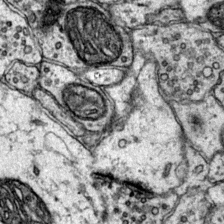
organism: Mouse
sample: Primary visual cortex